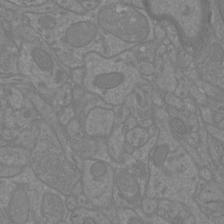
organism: Mouse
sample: Cortical neurons